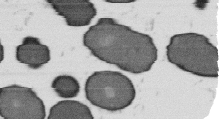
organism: B. subtilis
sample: Bacterial spore